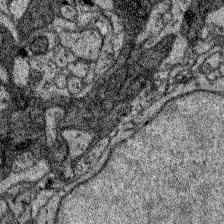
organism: Zebrafish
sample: Larval olfactory bulb